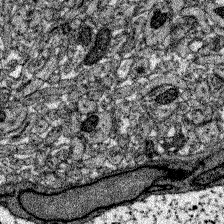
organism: Zebrafish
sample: Larval olfactory bulb